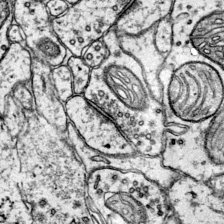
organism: Mouse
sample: Primary visual cortex